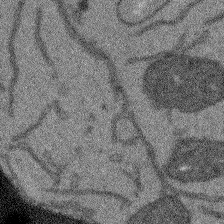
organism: Arabidopsis thaliana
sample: Root tip